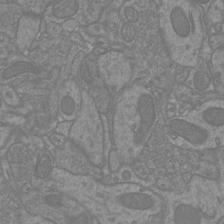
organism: Mouse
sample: Cortical neurons